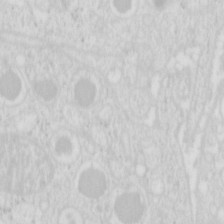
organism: Mouse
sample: Pancreas